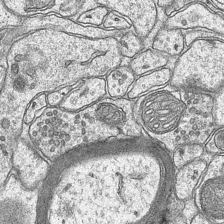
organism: Mouse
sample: CA1 Hippocampus